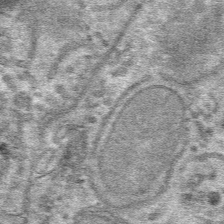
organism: Mouse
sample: Mouse hepatocytes